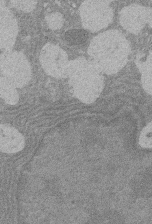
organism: Rat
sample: Salivary granule